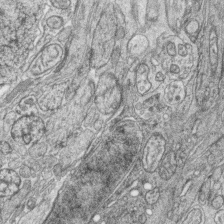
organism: Zebrafish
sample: synaptic ribbons in rod cells and cone cells